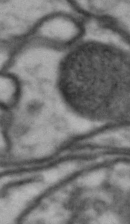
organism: Drosophila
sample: Brain